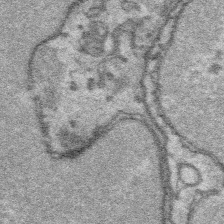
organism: Platynereis dumerilii